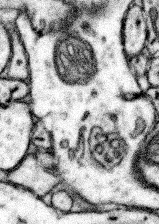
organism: Mouse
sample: Somatosensory cortex neuropil